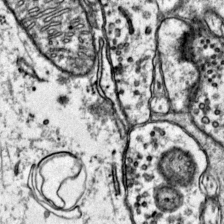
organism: Mouse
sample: Primary visual cortex